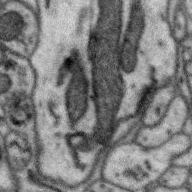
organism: Zebra finch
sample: Brain